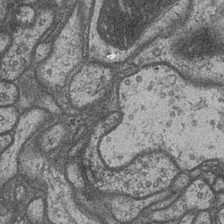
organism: Drosophila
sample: Optic medulla